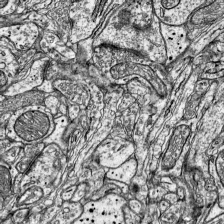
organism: Mouse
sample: Visual Cortex